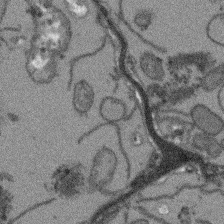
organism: Arabidopsis thaliana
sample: Root tip